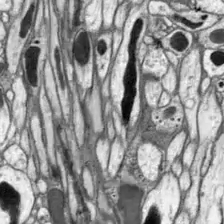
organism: Drosophila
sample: Optic lobe